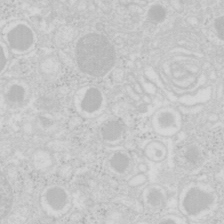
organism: Mouse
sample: Pancreas